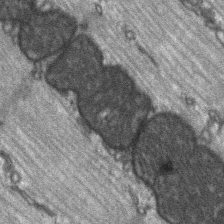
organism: C57BL Mouse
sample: Soleus